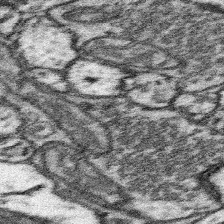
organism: Mouse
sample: Somatosensory cortex neuropil